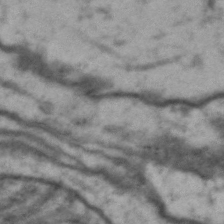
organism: Drosophila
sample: Brain